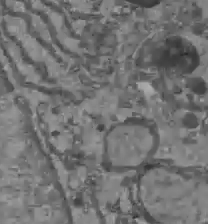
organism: C57BL Mouse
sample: Liver